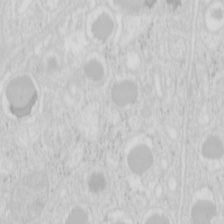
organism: Mouse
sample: Pancreas